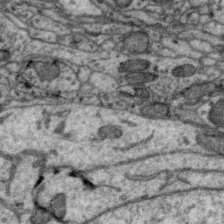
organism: Zebra finch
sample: Brain